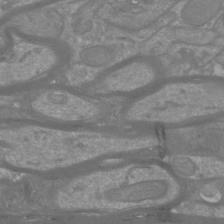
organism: Mouse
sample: Cortical neurons